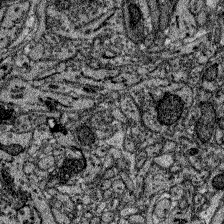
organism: Zebrafish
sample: Larval olfactory bulb